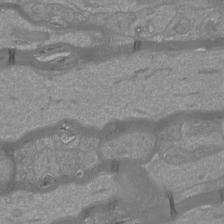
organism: Mouse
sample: Cortical neurons